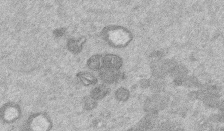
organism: Mouse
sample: Dividing mouse embryo 1 cell stage